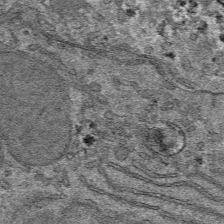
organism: Mouse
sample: Mouse hepatocytes